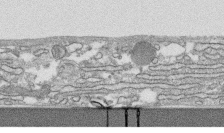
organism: Human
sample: CRL-1474